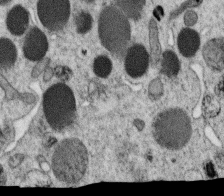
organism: C. elegans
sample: C. elegans oocyte; sperm cells